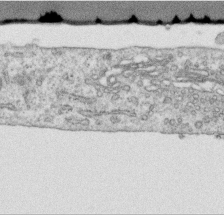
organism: Human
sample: Centriole in RPE cells